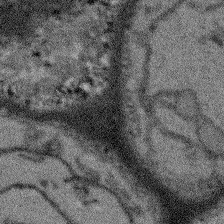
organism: Arabidopsis thaliana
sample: Root tip